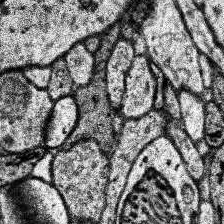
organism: Human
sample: Temporal Lobe